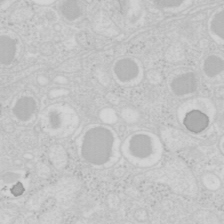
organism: Mouse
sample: Pancreas